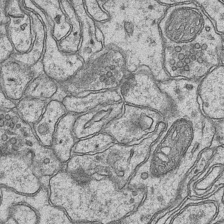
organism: Mouse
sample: CA1 Hippocampus